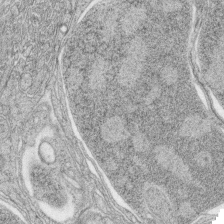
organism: Zebrafish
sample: synaptic ribbons in rod cells and cone cells